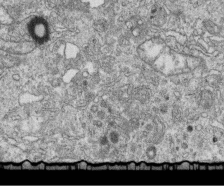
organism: Human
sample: HeLa cell HIV synapse